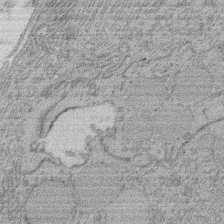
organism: Rat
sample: Salivary granule